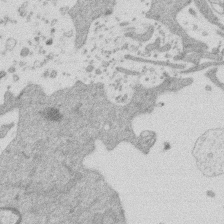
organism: Mouse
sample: Dividing mouse embryo 1 cell stage